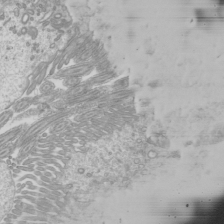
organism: Mouse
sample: Cilia; mouse epididymis